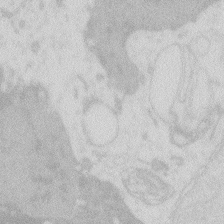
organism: Zebrafish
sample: Macrophage